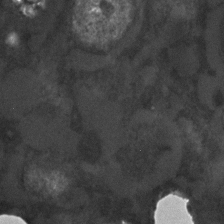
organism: C. elegans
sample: C. elegans embryo